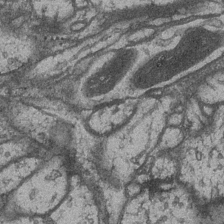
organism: Drosophila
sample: Optic medulla